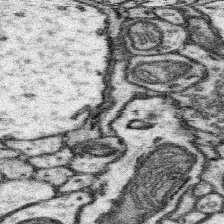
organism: Mouse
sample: Somatosensory cortex neuropil